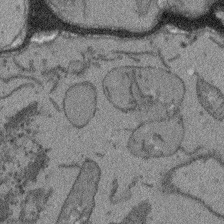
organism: Arabidopsis thaliana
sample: Root tip